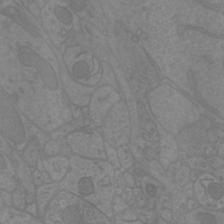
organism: Mouse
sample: Cortical neurons